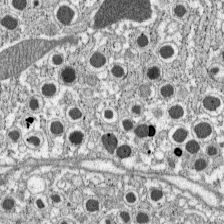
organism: C57BL Mouse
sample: Pancreatic islet